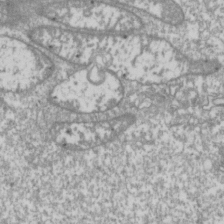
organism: Drosophila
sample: Cell division; meiosis; drosophila spermatocytes